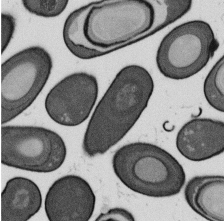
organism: B. subtilis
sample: Bacterial spore